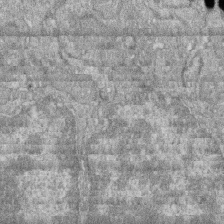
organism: Zebrafish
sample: Cilia; retinal pigment epithelium